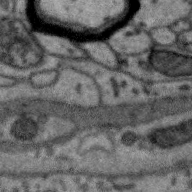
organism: Zebra finch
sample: Brain